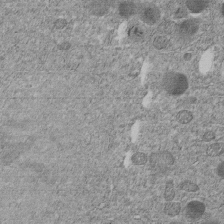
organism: C. elegans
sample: C. elegans embryo early stage